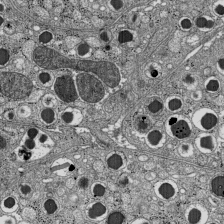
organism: C57BL Mouse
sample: Pancreatic islet